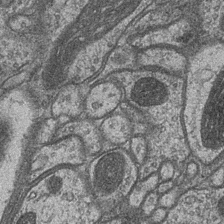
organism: Drosophila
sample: Optic medulla